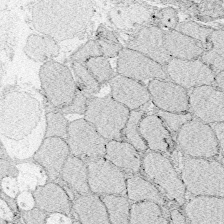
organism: Zebrafish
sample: Whole-Brain